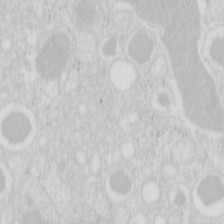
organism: Mouse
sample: Pancreas